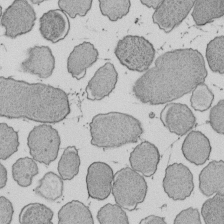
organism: E. coli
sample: Bacterial nucleoid